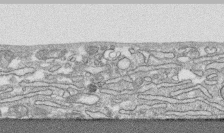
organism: Human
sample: CRL-1474